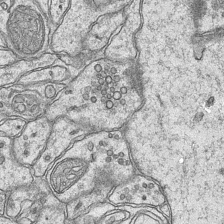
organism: Mouse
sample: CA1 Hippocampus